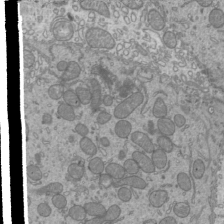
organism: Mouse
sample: Cilia; mouse epididymis